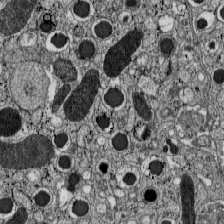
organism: C57BL Mouse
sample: Pancreatic islet